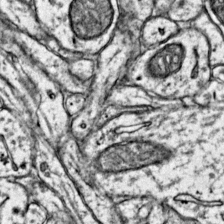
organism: Mouse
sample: Primary visual cortex